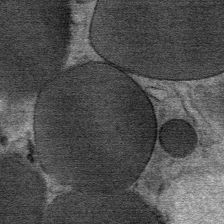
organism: Mouse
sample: Mouse Salivary gland